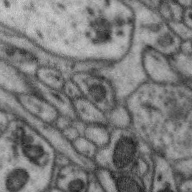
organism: Zebra finch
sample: Brain